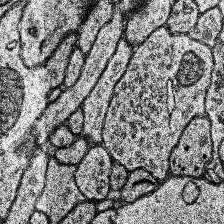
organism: Human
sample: Temporal Lobe